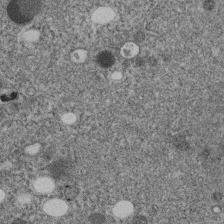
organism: C. elegans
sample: C. elegans embryo early stage